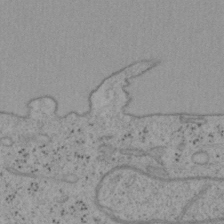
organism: Human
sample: HeLa cells